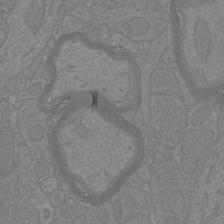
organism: Mouse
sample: Cortical neurons